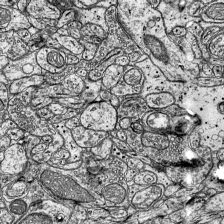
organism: Mouse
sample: Visual Cortex